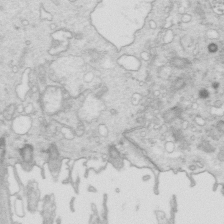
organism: Mouse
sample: Multiciliated cells